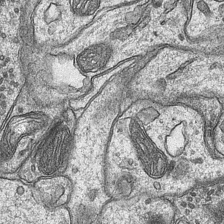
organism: Mouse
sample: CA1 Hippocampus